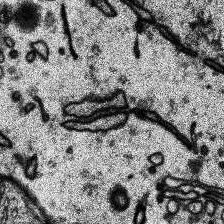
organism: Human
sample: Temporal Lobe